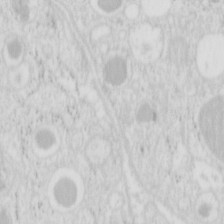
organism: Mouse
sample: Pancreas